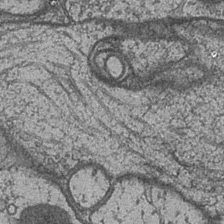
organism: Drosophila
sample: Optic medulla